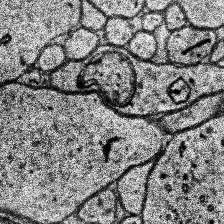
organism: Human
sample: Temporal Lobe